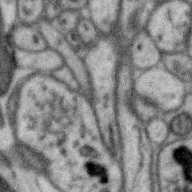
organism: Zebra finch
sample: Brain